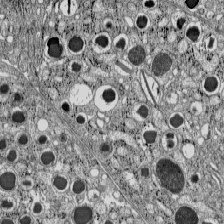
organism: C57BL Mouse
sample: Pancreatic islet